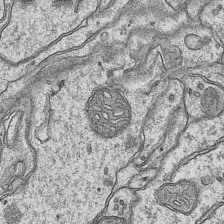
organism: Mouse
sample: CA1 Hippocampus